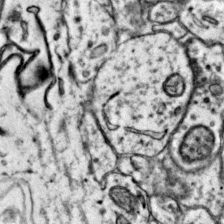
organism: Mouse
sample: Primary visual cortex